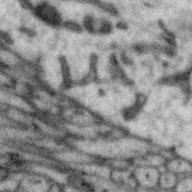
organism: Zebra finch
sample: Brain